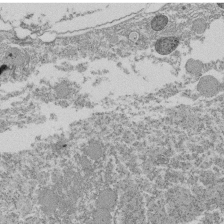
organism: Tetrahymena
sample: Cilia in tetrahymena